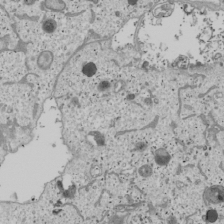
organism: Human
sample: Mitochondria in U2OS cells